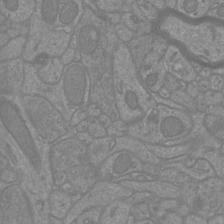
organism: Mouse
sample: Cortical neurons